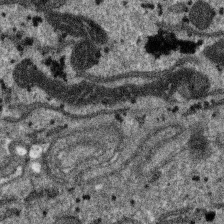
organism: Human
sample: Lung epithelial cells infected with SARS-CoV-2